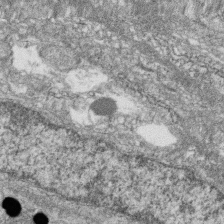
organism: Zebrafish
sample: Cilia; retinal pigment epithelium